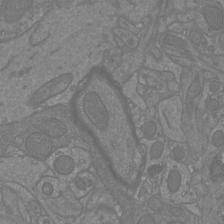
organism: Mouse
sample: Cortical neurons